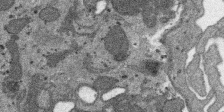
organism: Human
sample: Lung epithelial cells infected with SARS-CoV-2